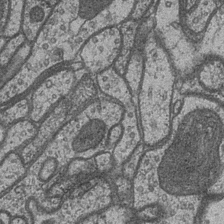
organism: Drosophila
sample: Optic medulla